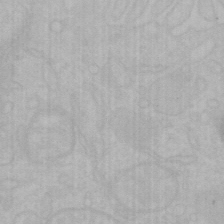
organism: Mouse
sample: Choroid plexus